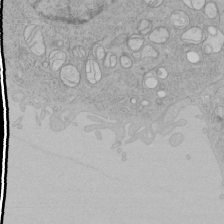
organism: Human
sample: Mitochondria in HCT116 cells